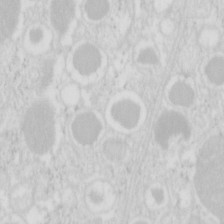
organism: Mouse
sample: Pancreas